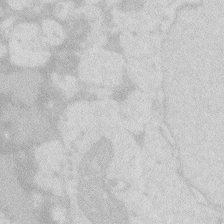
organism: Zebrafish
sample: Macrophage